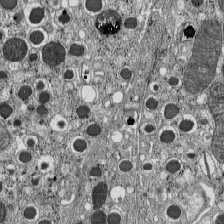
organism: C57BL Mouse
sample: Pancreatic islet